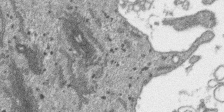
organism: Human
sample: Lung epithelial cells infected with SARS-CoV-2